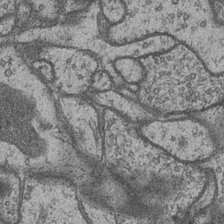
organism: Drosophila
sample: Optic medulla